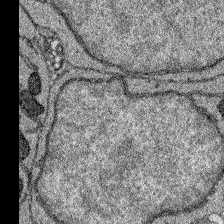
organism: Zebrafish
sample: Larval olfactory bulb